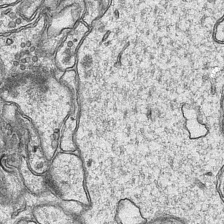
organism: Mouse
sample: CA1 Hippocampus